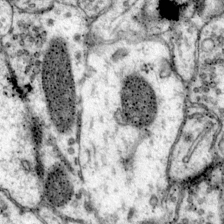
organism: Mouse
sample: Primary visual cortex